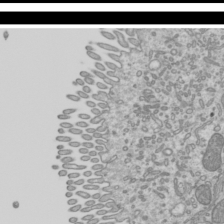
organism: Mouse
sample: Cilia; mouse epididymis